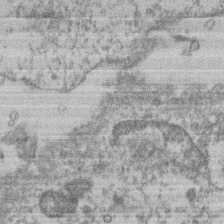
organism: Mouse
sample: T cell stromal cell synapse